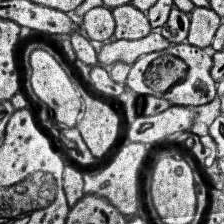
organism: Human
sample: Temporal Lobe